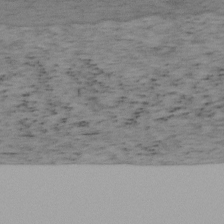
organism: Mouse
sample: OT-I killer T cells with ID8 ovarian cancer cells